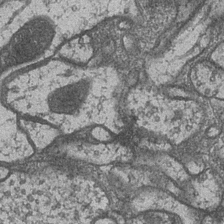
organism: Drosophila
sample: Optic medulla